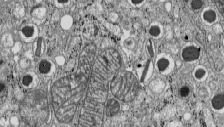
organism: C57BL Mouse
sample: Pancreatic islet